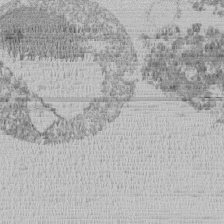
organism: Mouse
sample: Activated Pmel transgenic CD8+ T Cells